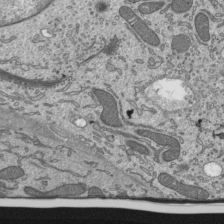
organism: Mouse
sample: Mouse epididymis efferent ductule cilia